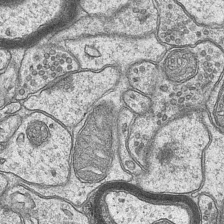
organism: Mouse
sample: CA1 Hippocampus